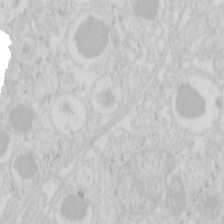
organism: Mouse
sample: Pancreas